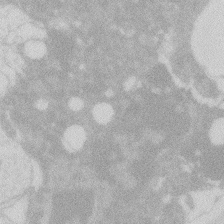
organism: Zebrafish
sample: Macrophage